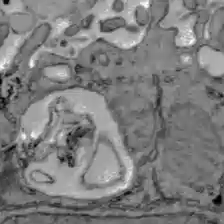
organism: C57BL Mouse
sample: Liver